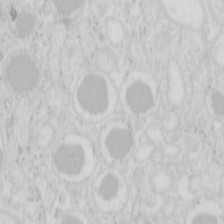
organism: Mouse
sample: Pancreas